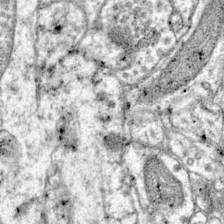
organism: Mouse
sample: Primary visual cortex